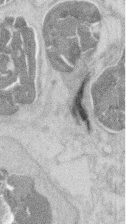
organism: Mouse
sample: T cell stromal cell synapse